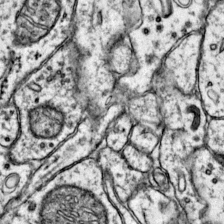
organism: Mouse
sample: Primary visual cortex